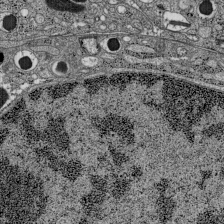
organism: C57BL Mouse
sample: Pancreatic islet